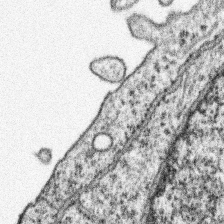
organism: Human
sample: HeLa cells